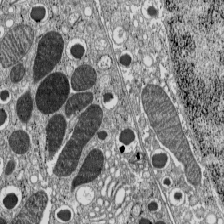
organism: C57BL Mouse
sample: Pancreatic islet